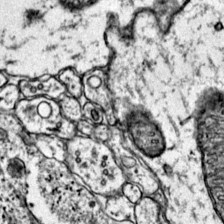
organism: Mouse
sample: Primary visual cortex